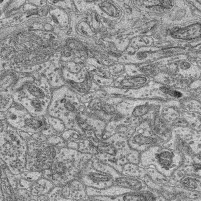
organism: Mouse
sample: Retina